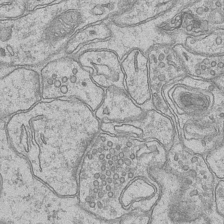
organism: Mouse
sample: CA1 Hippocampus